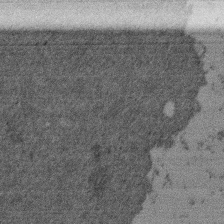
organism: Mouse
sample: Dividing mouse embryo 1 cell stage